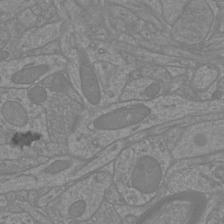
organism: Mouse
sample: Cortical neurons